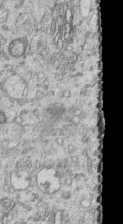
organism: Human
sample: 1205lu cells